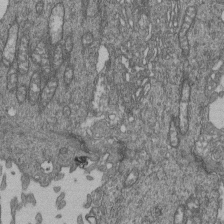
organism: Human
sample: Retinal organoid Rod and Cone cells